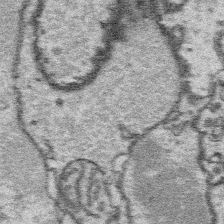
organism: Platynereis dumerilii